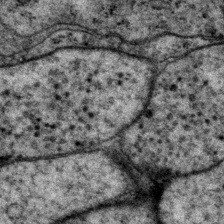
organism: P. pacificus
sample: Pharynx